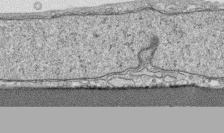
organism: Human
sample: CRL-1474